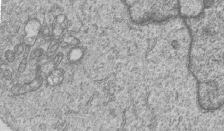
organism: Human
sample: MDA-MB-231 cells